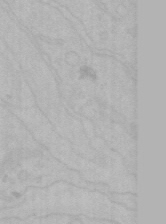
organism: Mouse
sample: Choroid plexus